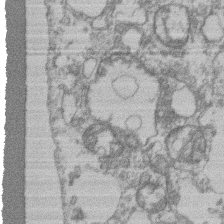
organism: Mouse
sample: T cell stromal cell synapse